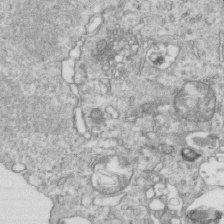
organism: Mouse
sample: Activated OT-1 CD8+ T cells